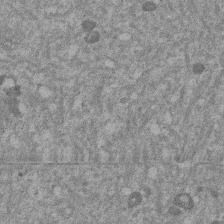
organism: Mouse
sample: Dividing mouse embryo 1 cell stage